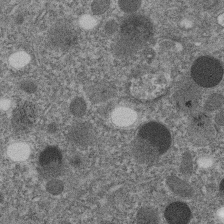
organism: C. elegans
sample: C. elegans embryo early stage